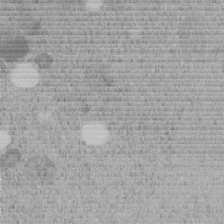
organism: C. elegans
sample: C. elegans embryo early stage